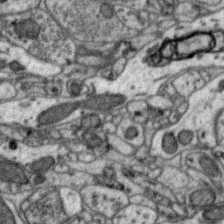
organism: Zebra finch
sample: Brain